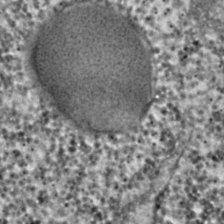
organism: C. elegans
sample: C. elegans embryo